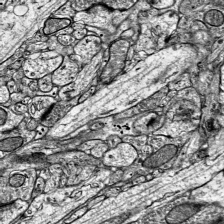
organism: Mouse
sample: Visual Cortex